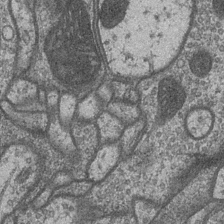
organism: Drosophila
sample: Optic medulla